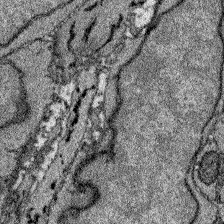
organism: Zebrafish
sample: Larval olfactory bulb